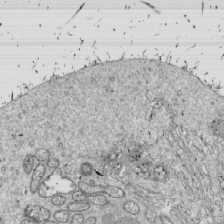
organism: Drosophila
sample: Cell division; meiosis; drosophila spermatocytes